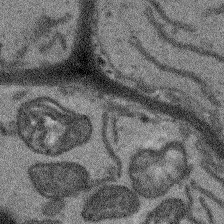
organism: Arabidopsis thaliana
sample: Root tip